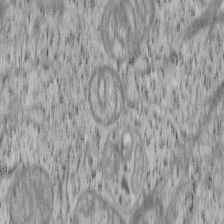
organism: Human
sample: HeLa cells